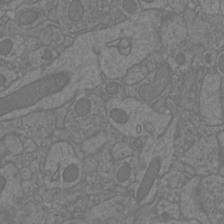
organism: Mouse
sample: Cortical neurons